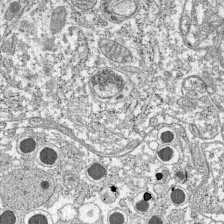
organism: C57BL Mouse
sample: Pancreatic islet